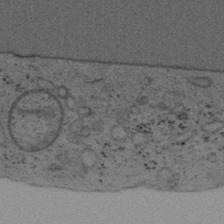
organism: Human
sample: HeLa cells